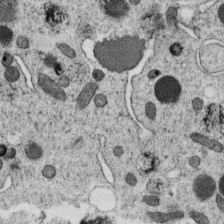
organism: C. elegans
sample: C. elegans oocyte; sperm cells